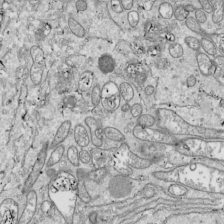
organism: Drosophila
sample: Cell division; meiosis; drosophila spermatocytes